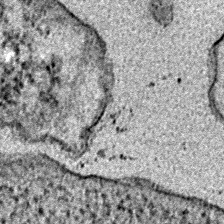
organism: E. coli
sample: E. Coli Bacteria